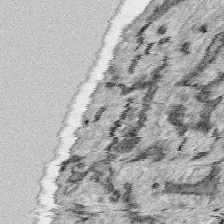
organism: Human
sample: HeLa cells